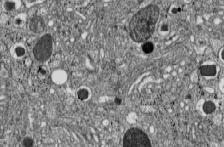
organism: C57BL Mouse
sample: Pancreatic islet